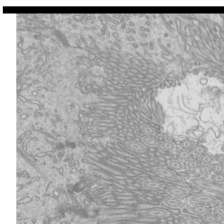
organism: Mouse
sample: Cilia; mouse epididymis